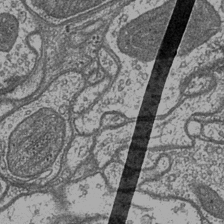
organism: Drosophila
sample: Optic medulla